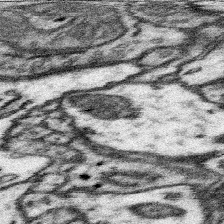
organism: Mouse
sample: Somatosensory cortex neuropil